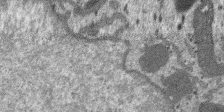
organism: Human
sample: Lung epithelial cells infected with SARS-CoV-2